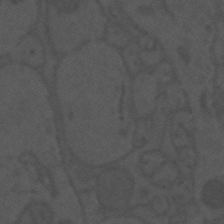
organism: Mouse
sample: Suprachiasmatic nucleus